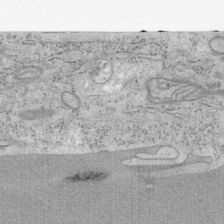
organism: Human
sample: HeLa cells